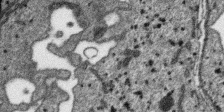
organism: Human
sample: Lung epithelial cells infected with SARS-CoV-2